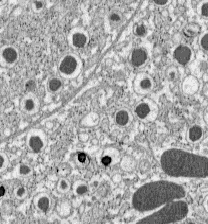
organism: C57BL Mouse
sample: Pancreatic islet